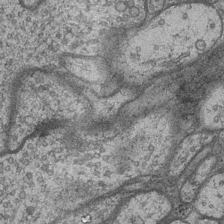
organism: Drosophila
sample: Optic medulla